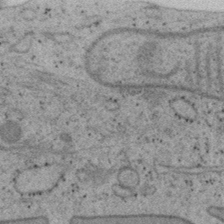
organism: Human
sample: HeLa cells